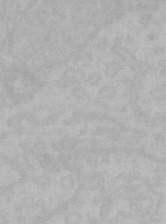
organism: Mouse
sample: Choroid plexus